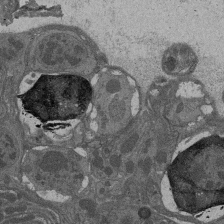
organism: Drosophila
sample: Antenna